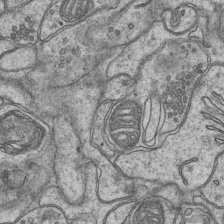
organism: Mouse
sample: CA1 Hippocampus